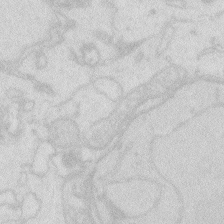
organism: Zebrafish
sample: Macrophage